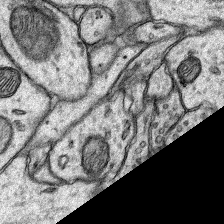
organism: Rat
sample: Hippocampus